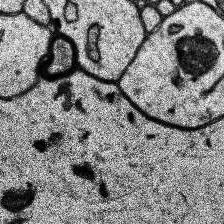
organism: Human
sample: Temporal Lobe